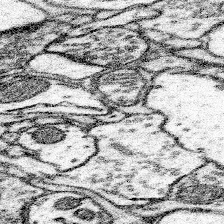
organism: Mouse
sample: Somatosensory cortex neuropil